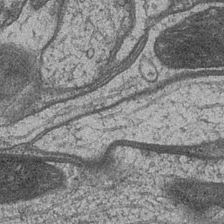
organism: Drosophila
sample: Optic medulla